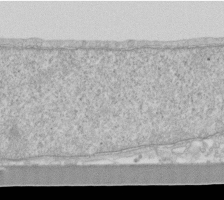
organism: Human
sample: Fibroblast cells